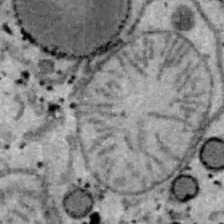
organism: Mouse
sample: Liver from an obese (ob/ob) mouse